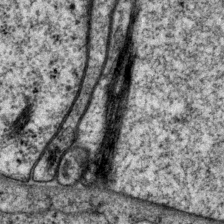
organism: P. pacificus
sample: Pharynx